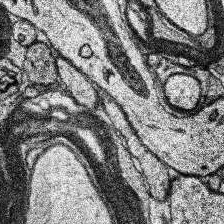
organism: Human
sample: Temporal Lobe